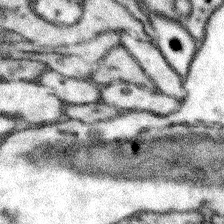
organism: Mouse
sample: Somatosensory cortex neuropil